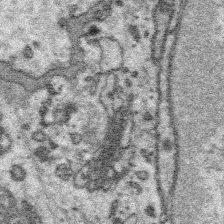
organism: Platynereis dumerilii